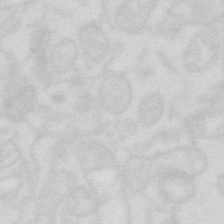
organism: Human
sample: HeLa cells